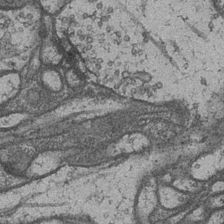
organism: Drosophila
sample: Optic medulla